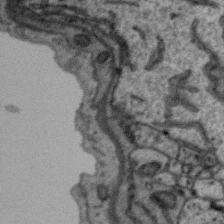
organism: Zebra finch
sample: Brain